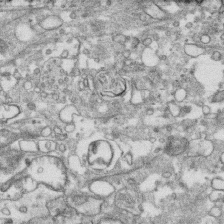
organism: Human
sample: CRL-1474